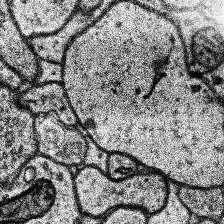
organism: Human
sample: Temporal Lobe